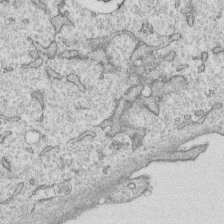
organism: Human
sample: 1205lu cells